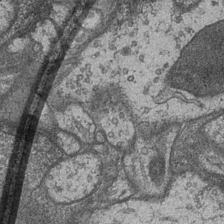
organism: Drosophila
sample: Optic medulla